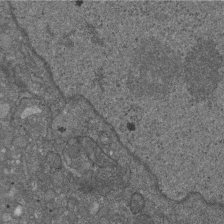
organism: Drosophila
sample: Nephrocyte